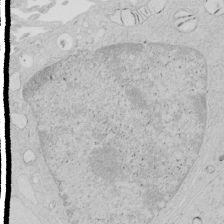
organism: Human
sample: Mitochondria in HCT116 cells